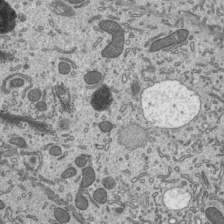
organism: Mouse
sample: Mouse epididymis efferent ductule cilia